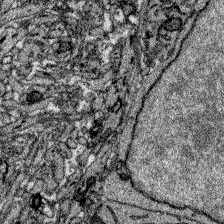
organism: Zebrafish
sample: Larval olfactory bulb